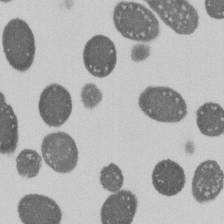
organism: E. coli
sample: Bacterial nucleoid